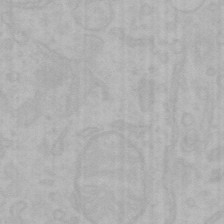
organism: Mouse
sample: Choroid plexus